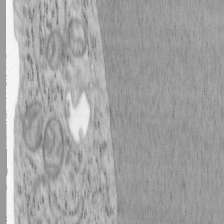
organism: Human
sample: HeLa cells